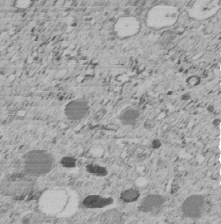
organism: C. elegans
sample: C. elegans embryo early stage